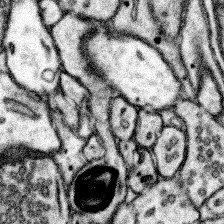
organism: Mouse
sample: Somatosensory cortex neuropil